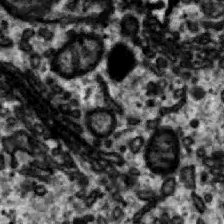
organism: Human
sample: HeLa cells